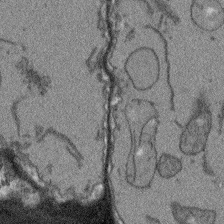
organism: Arabidopsis thaliana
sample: Root tip